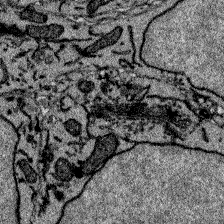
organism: Zebrafish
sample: Larval olfactory bulb